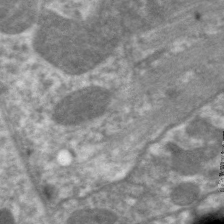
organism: C. elegans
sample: Pharynx